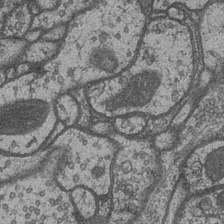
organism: Drosophila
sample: Optic medulla